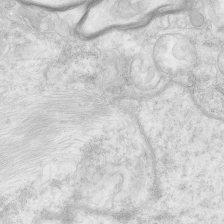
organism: Human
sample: Neocortex